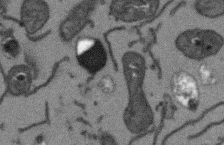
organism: Arabidopsis thaliana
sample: Root tip